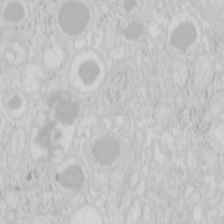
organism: Mouse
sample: Pancreas